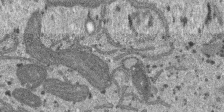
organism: Human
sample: Lung epithelial cells infected with SARS-CoV-2